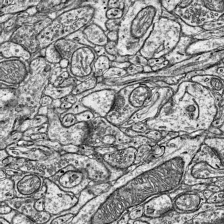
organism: Mouse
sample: Visual Cortex